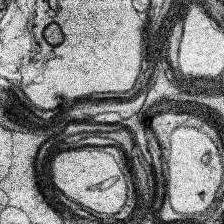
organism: Human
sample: Temporal Lobe